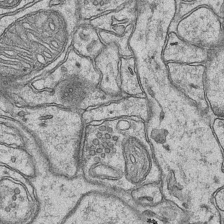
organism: Mouse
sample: CA1 Hippocampus